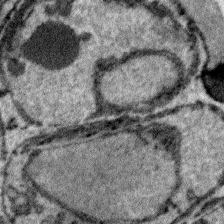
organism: Plasmodium falciparum